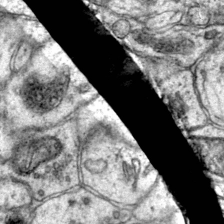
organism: Mouse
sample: Primary visual cortex